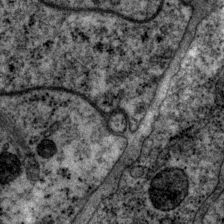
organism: P. pacificus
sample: Pharynx